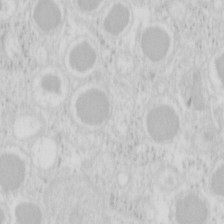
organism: Mouse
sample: Pancreas